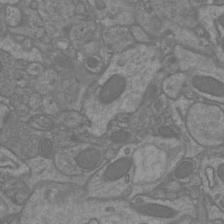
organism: Mouse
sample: Cortical neurons